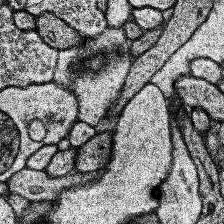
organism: Human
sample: Temporal Lobe